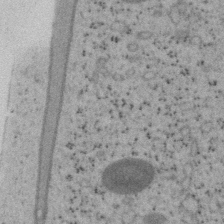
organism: Human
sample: HeLa cells